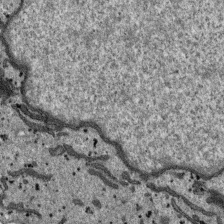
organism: Human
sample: Lung epithelial cells, uninfected (mock) control